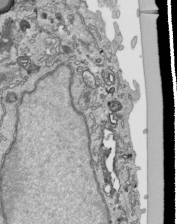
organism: Human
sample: Mitochondria in HCT116 cells